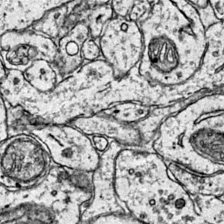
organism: Mouse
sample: Primary visual cortex